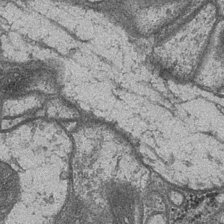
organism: Drosophila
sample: Optic medulla